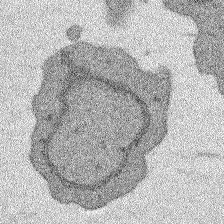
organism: Human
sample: HeLa cells